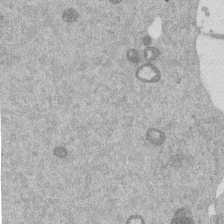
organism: Mouse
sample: Dividing mouse embryo 1 cell stage